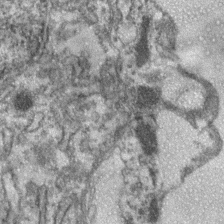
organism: Zebrafish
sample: Zebrafish embryo